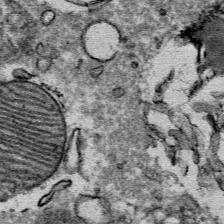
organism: Mouse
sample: Mouse Salivary gland